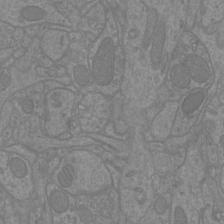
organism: Mouse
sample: Cortical neurons